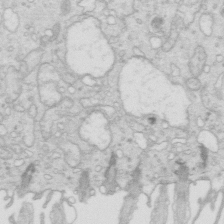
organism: Mouse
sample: Multiciliated cells